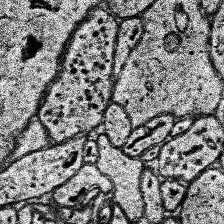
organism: Human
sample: Temporal Lobe